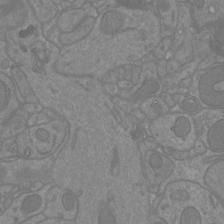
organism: Mouse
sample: Cortical neurons